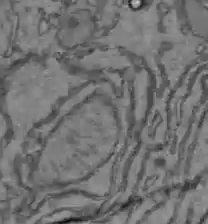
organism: C57BL Mouse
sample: Liver